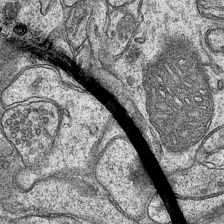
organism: Mouse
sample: CA1 Hippocampus